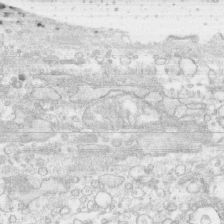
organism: Human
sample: CRL-1474